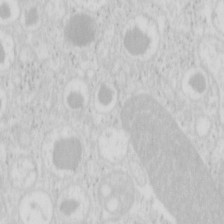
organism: Mouse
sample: Pancreas